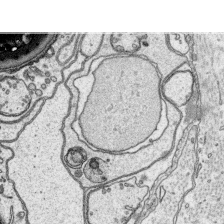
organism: Platynereis dumerilii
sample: Parapodia